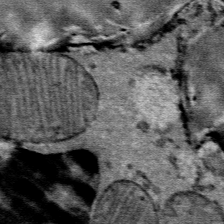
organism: Mouse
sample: Mouse Salivary gland